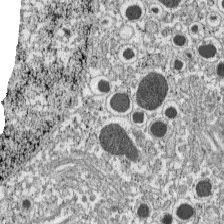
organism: C57BL Mouse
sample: Pancreatic islet